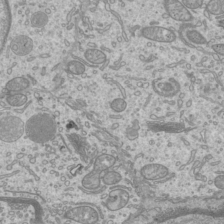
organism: Mouse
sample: Cilia; mouse epididymis